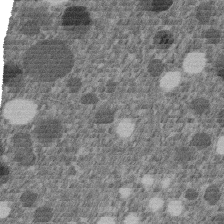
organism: C. elegans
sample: C. elegans embryo early stage